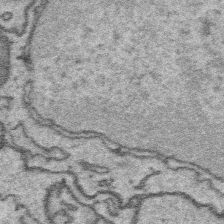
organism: Platynereis dumerilii